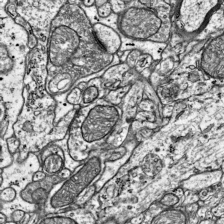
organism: Mouse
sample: Visual Cortex